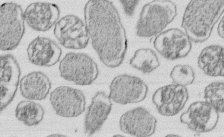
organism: E. coli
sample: Bacterial nucleoid